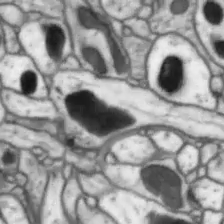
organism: Drosophila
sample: Optic lobe